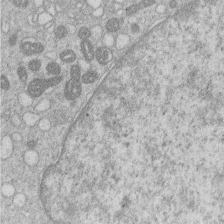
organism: Human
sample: Macrophage cells